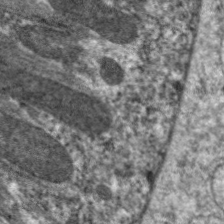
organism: C. elegans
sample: Pharynx